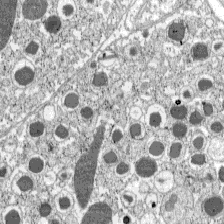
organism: C57BL Mouse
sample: Pancreatic islet